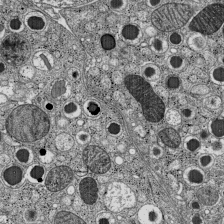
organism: C57BL Mouse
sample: Pancreatic islet